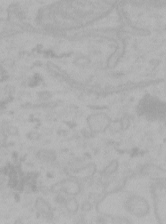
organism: Mouse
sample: Choroid plexus